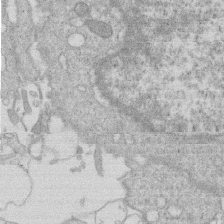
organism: Human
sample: Macrophage cells